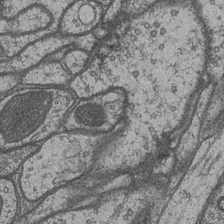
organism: Drosophila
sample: Optic medulla